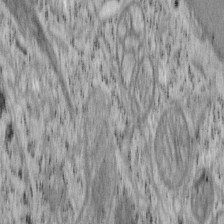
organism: Human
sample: HeLa cells